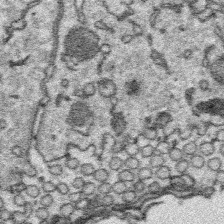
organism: Platynereis dumerilii